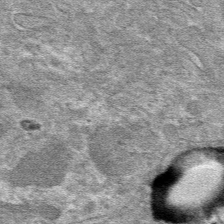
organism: Mouse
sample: Mouse hepatocytes